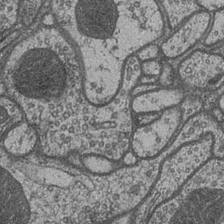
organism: Drosophila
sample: Optic medulla